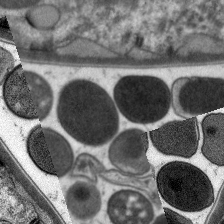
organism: C. elegans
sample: Pharynx